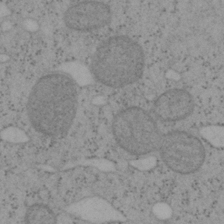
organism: Mouse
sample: OT-I killer T cells with ID8 ovarian cancer cells